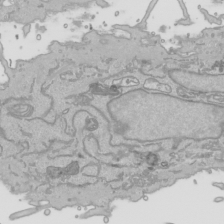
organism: Human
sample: Mitochondria in HCT116 cells